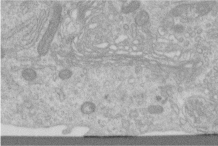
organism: Human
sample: Centriole in RPE cells